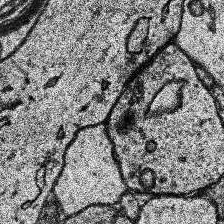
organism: Human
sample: Temporal Lobe